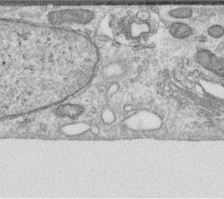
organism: Human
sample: Centriole in RPE cells